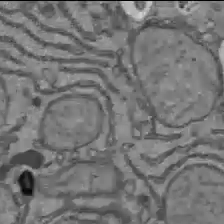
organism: C57BL Mouse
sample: Liver